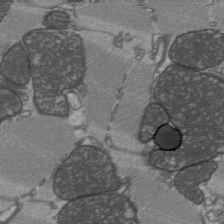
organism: C57BL Mouse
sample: Heart